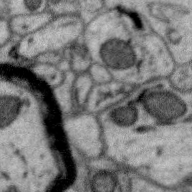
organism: Zebra finch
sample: Brain